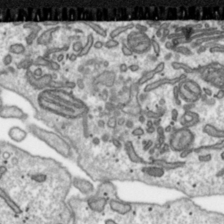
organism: Toxoplasma gondii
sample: Parasites in a vacuole inside a host cell